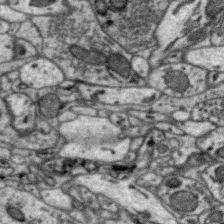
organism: Zebra finch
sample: Brain